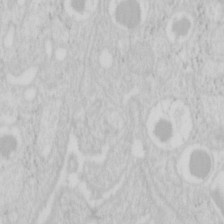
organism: Mouse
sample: Pancreas